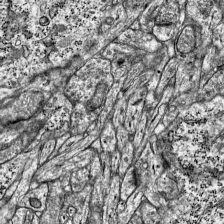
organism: Mouse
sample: Visual Cortex